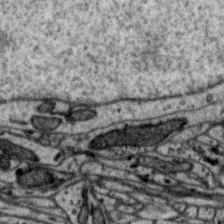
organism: Zebra finch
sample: Brain